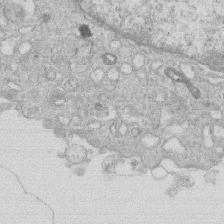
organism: Human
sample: Macrophage cells